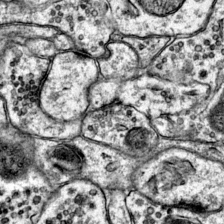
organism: Mouse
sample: Primary visual cortex